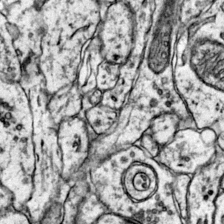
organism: Mouse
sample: Primary visual cortex